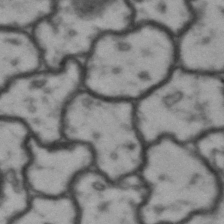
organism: Drosophila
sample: Brain